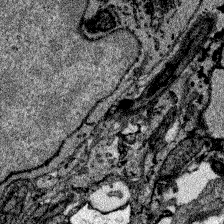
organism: Zebrafish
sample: Larval olfactory bulb